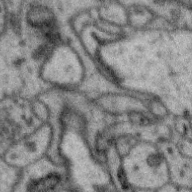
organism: Zebra finch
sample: Brain